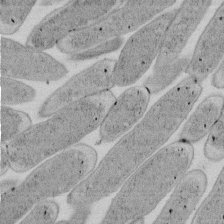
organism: E. coli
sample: Bacterial nucleoid